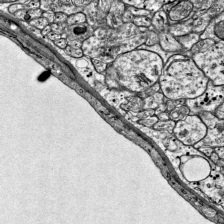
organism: Mouse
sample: Visual Cortex